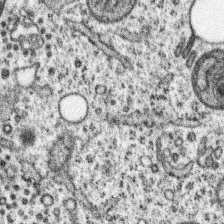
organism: Human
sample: HeLa cells